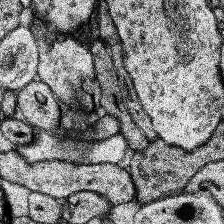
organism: Human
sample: Temporal Lobe